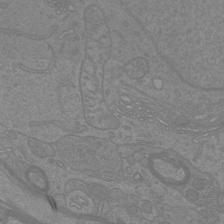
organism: Mouse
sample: Cortical neurons